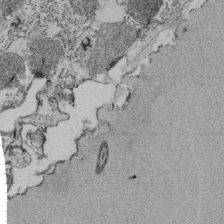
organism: Tetrahymena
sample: Cilia in tetrahymena